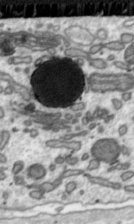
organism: Toxoplasma gondii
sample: Parasites in a vacuole inside a host cell